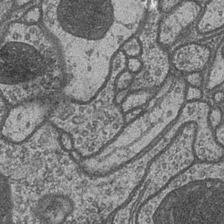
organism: Drosophila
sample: Optic medulla